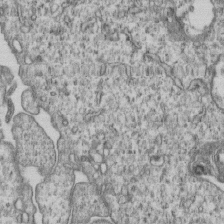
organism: Human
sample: MDA-MB-231 cells